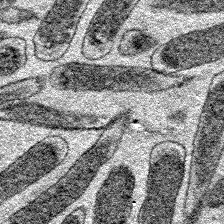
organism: E. coli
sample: E. Coli Bacteria